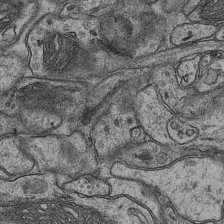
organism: Mouse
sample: CA1 Hippocampus